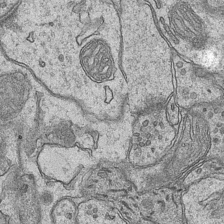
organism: Mouse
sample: CA1 Hippocampus